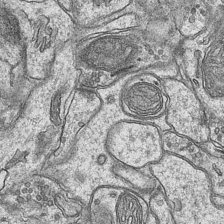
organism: Mouse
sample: CA1 Hippocampus